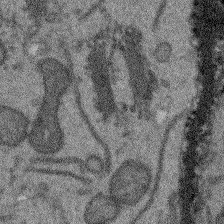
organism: Arabidopsis thaliana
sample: Root tip